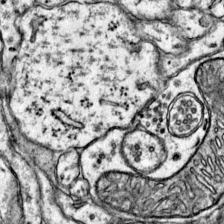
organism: Mouse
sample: Primary visual cortex